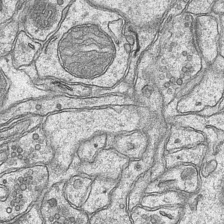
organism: Mouse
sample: CA1 Hippocampus